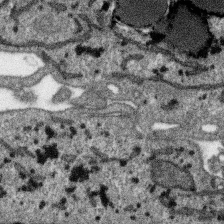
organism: Human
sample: Lung epithelial cells infected with SARS-CoV-2